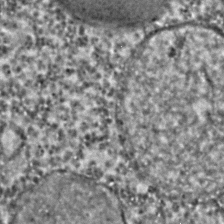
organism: C. elegans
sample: C. elegans embryo